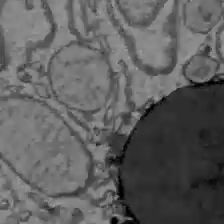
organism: C57BL Mouse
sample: Liver